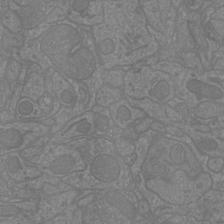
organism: Mouse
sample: Cortical neurons